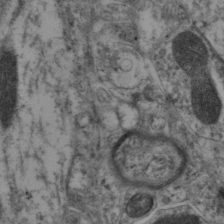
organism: Mouse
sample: Neocortex